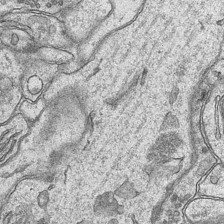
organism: Mouse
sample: CA1 Hippocampus